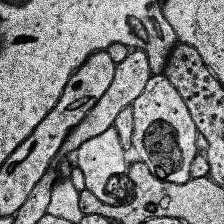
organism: Human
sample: Temporal Lobe